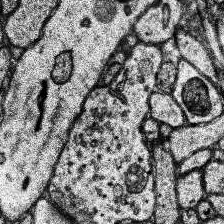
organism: Human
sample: Temporal Lobe